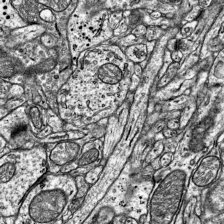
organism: Mouse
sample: Visual Cortex